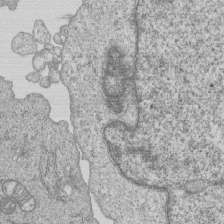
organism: Human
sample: MDA-MB-231 cells